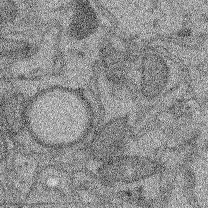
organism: Human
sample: HeLa cells